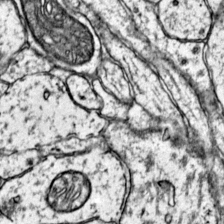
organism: Mouse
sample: Primary visual cortex